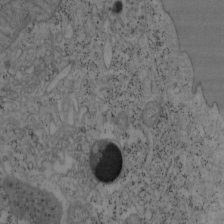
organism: Mouse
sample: OT-I killer T cells with ID8 ovarian cancer cells